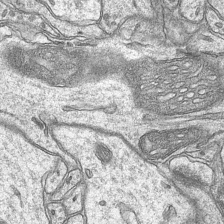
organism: Mouse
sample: CA1 Hippocampus